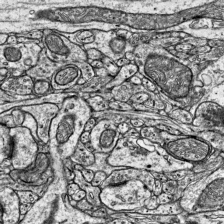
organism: Mouse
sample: Visual Cortex